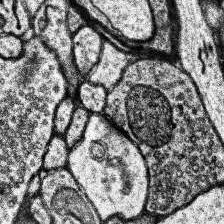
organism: Human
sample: Temporal Lobe